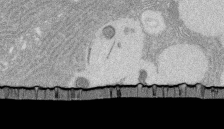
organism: Rat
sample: Salivary granule